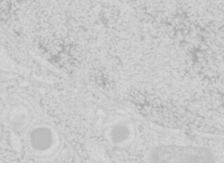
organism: Mouse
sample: Pancreas